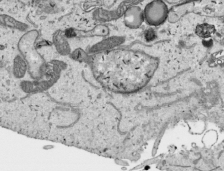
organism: Human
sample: Mitochondria in HCT116 cells